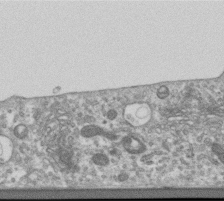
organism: Human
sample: Centriole in RPE cells